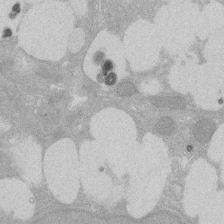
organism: Rat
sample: Salivary granule